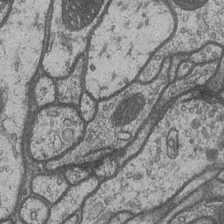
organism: Drosophila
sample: Optic medulla